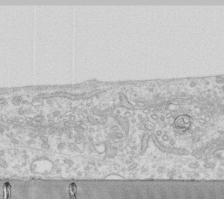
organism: Human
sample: Fibroblast cells